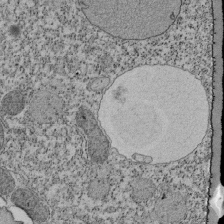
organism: Tetrahymena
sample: Cilia in tetrahymena